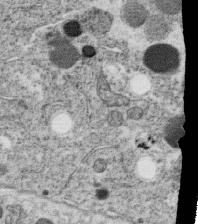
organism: C. elegans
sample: C. elegans oocyte; sperm cells